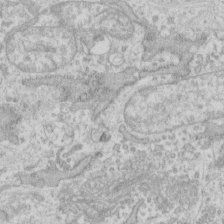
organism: Human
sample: Fibroblast cells